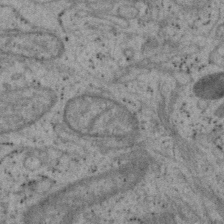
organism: Human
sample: HeLa cells